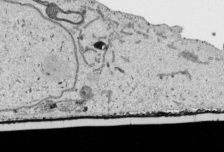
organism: Human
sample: Mitochondria in HCT116 cells